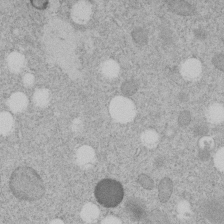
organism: C. elegans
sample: C. elegans embryo early stage